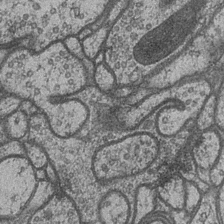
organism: Drosophila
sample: Optic medulla